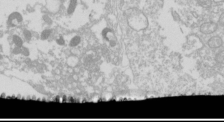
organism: Drosophila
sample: Cell division; meiosis; drosophila spermatocytes